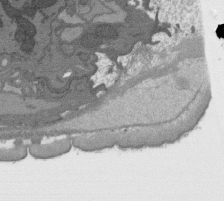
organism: C. elegans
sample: AFD neurons C. elegans